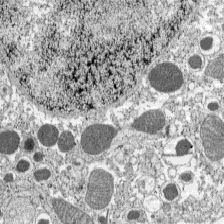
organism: C57BL Mouse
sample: Pancreatic islet